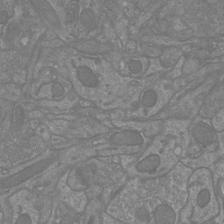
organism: Mouse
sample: Cortical neurons